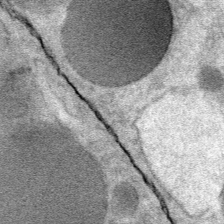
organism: Mouse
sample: Mouse Salivary gland